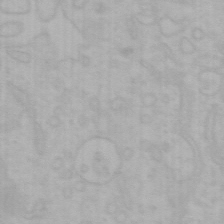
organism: Mouse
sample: Choroid plexus